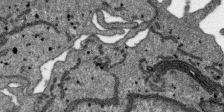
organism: Human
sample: Lung epithelial cells, uninfected (mock) control